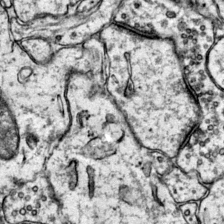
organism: Mouse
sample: Primary visual cortex